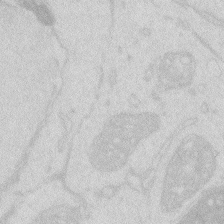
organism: Zebrafish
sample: Macrophage